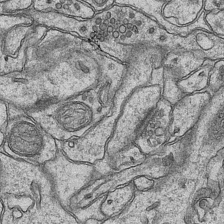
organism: Mouse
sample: CA1 Hippocampus